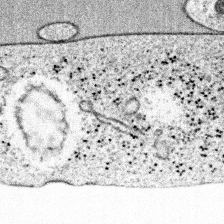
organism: Human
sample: HeLa cells